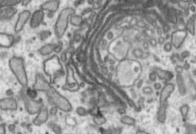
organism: Toxoplasma gondii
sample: Parasites in a vacuole inside a host cell